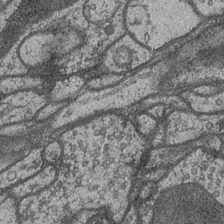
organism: Drosophila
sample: Optic medulla